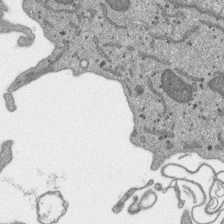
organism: Human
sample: Lung epithelial cells infected with SARS-CoV-2